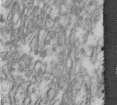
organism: Human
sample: Centriole in fibroblast cells